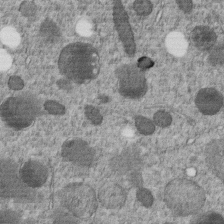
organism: C. elegans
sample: C. elegans embryo early stage